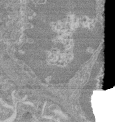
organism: Mouse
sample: Glomerulus